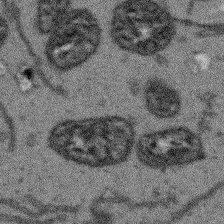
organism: Arabidopsis thaliana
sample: Root tip